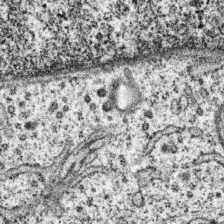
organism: Human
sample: HeLa cells